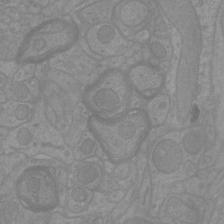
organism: Mouse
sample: Cortical neurons